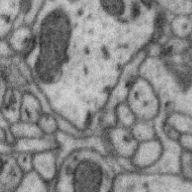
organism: Zebra finch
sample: Brain